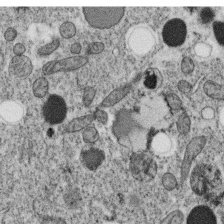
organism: C. elegans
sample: C. elegans oocyte; sperm cells